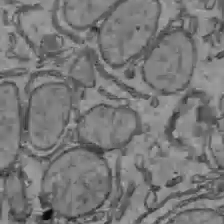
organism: C57BL Mouse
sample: Liver